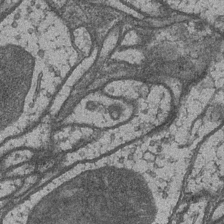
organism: Drosophila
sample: Optic medulla